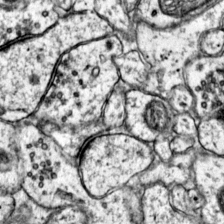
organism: Mouse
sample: Primary visual cortex